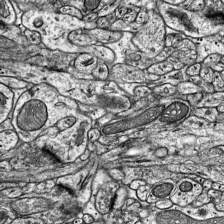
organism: Mouse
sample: Visual Cortex